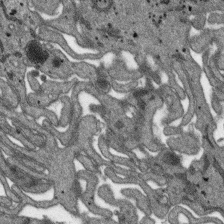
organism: Human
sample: Lung epithelial cells, uninfected (mock) control